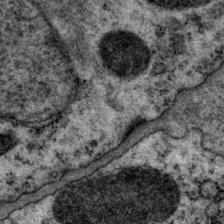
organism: P. pacificus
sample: Pharynx